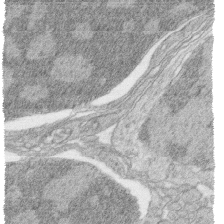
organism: Zebrafish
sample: synaptic ribbons in rod cells and cone cells